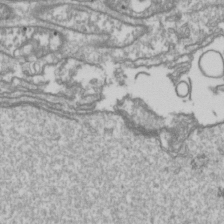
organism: Drosophila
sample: Cell division; meiosis; drosophila spermatocytes